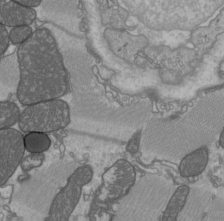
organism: C57BL Mouse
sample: Heart